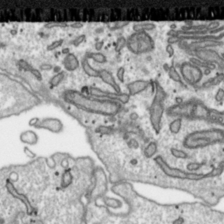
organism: Toxoplasma gondii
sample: Parasites in a vacuole inside a host cell